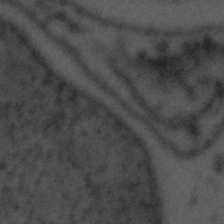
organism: Tuwongella immobilis